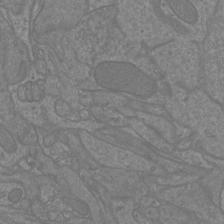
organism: Mouse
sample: Cortical neurons